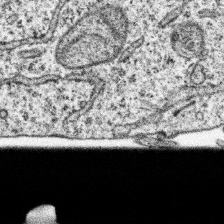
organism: Human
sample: HeLa cells